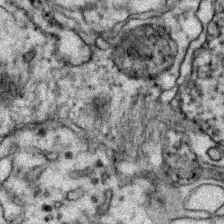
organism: Zebrafish